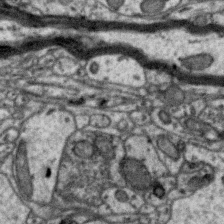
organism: Zebra finch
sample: Brain